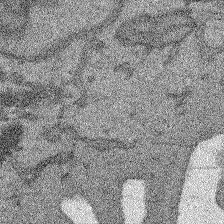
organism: Human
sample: HeLa cells